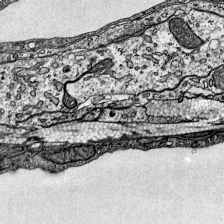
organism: Mouse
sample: Visual Cortex